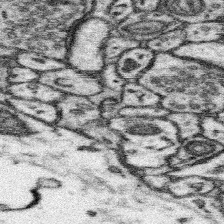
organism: Mouse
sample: Somatosensory cortex neuropil